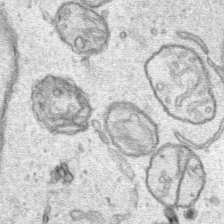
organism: Human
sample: Mitochondria in HCT116 cells